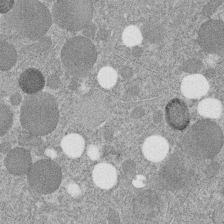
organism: C. elegans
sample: C. elegans embryo early stage